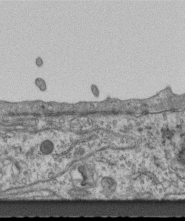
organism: Mouse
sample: Centriole in ependymal cells